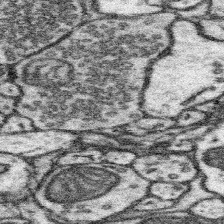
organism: Mouse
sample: Somatosensory cortex neuropil